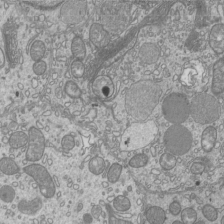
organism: Mouse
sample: Cilia; mouse epididymis